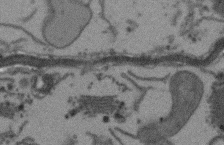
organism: Arabidopsis thaliana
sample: Root tip